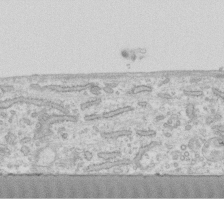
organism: Human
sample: Fibroblast cells